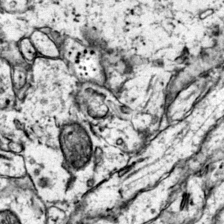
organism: Mouse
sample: Primary visual cortex